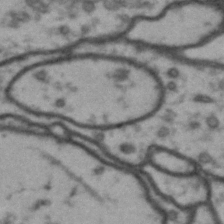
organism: Drosophila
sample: Brain